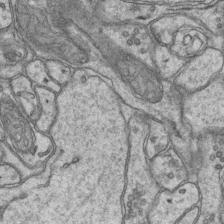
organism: Mouse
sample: CA1 Hippocampus